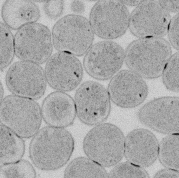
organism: E. coli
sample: Bacterial nucleoid